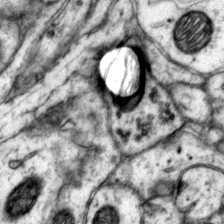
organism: Mouse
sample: Primary visual cortex